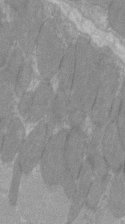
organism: C57BL Mouse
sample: Tibialis anterior muscle cell